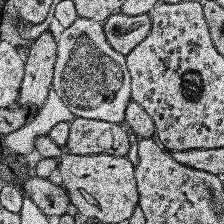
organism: Human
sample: Temporal Lobe